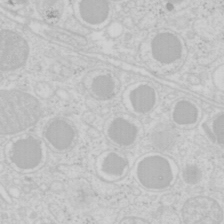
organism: Mouse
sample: Pancreas